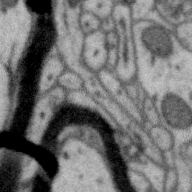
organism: Zebra finch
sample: Brain